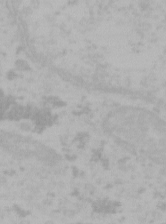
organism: Mouse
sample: Choroid plexus